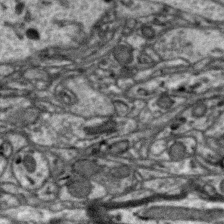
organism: Zebra finch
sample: Brain